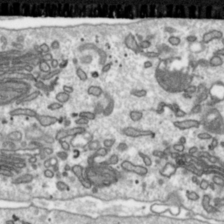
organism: Toxoplasma gondii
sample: Parasites in a vacuole inside a host cell